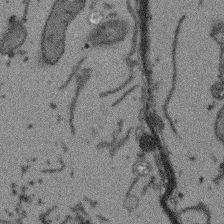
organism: Arabidopsis thaliana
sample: Root tip